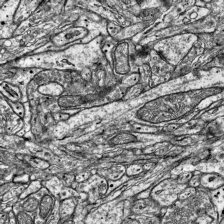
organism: Mouse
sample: Visual Cortex